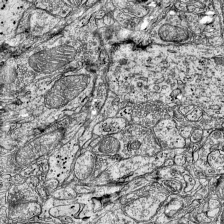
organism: Mouse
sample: Visual Cortex